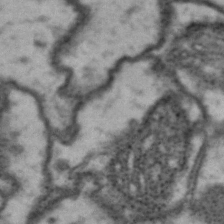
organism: Drosophila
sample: Brain